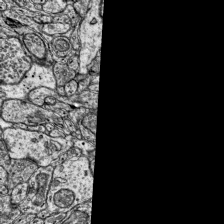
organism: Mouse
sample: Visual Cortex